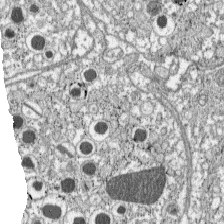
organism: C57BL Mouse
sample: Pancreatic islet